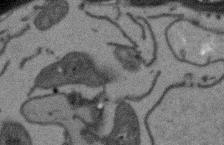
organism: Arabidopsis thaliana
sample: Root tip